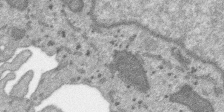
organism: Human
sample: Lung epithelial cells infected with SARS-CoV-2